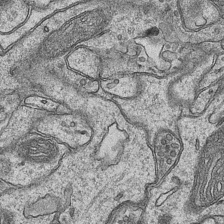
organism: Mouse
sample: CA1 Hippocampus